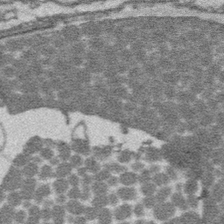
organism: Platynereis dumerilii